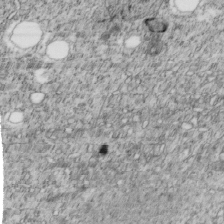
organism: C. elegans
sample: C. elegans embryo early stage